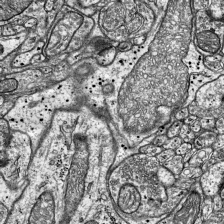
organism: Mouse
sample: Visual Cortex